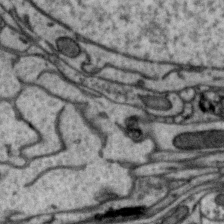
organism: Zebra finch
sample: Brain